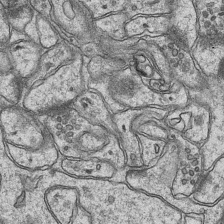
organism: Mouse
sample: CA1 Hippocampus